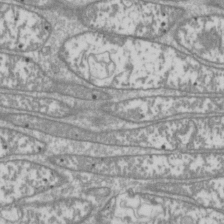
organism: Drosophila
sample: Cell division; meiosis; drosophila spermatocytes